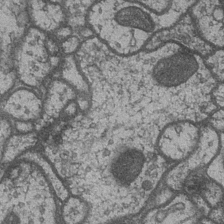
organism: Drosophila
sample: Optic medulla